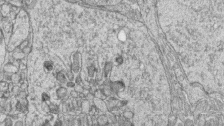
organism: Zebrafish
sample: synaptic ribbons in rod cells and cone cells